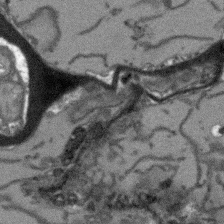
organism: Arabidopsis thaliana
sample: Root tip